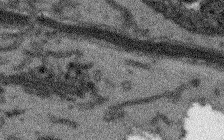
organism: Arabidopsis thaliana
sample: Root tip